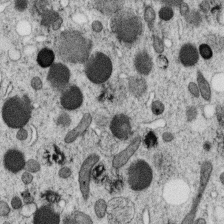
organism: C. elegans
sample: C. elegans oocyte; sperm cells